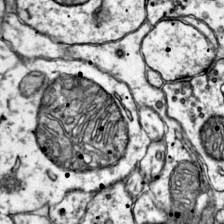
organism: Mouse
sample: Primary visual cortex